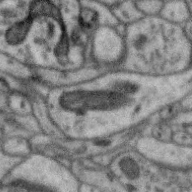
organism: Zebra finch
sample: Brain